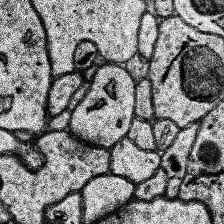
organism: Human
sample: Temporal Lobe